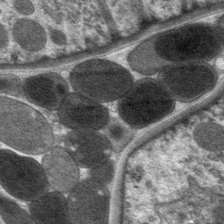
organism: C. elegans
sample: Pharynx